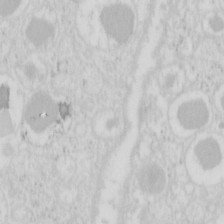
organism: Mouse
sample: Pancreas